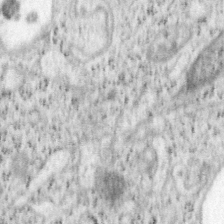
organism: Mouse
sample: OT-I killer T cells with ID8 ovarian cancer cells